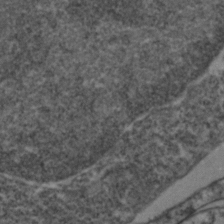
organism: Zebrafish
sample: Zebrafish embryo